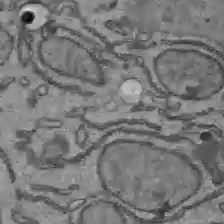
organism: C57BL Mouse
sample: Liver